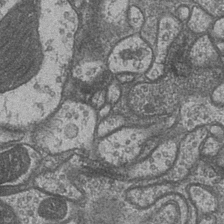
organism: Drosophila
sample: Optic medulla